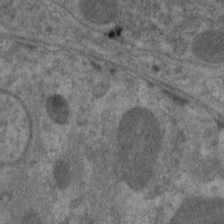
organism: C. elegans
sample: Pharynx